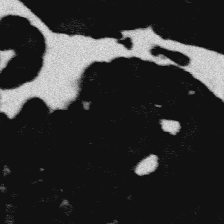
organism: Platynereis dumerilii